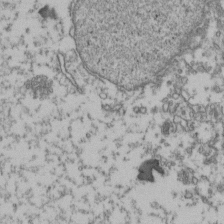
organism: Human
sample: Activated Jurkat CD4+ T cells